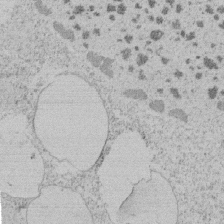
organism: Tetrahymena